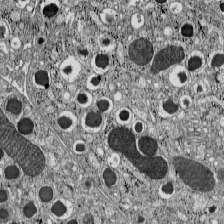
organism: C57BL Mouse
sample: Pancreatic islet